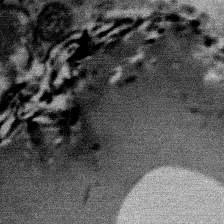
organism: Mouse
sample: Mouse Salivary gland